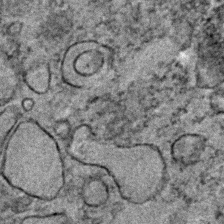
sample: Trachea